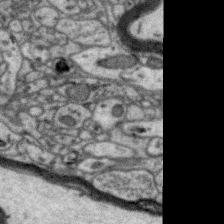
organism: Zebra finch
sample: Brain